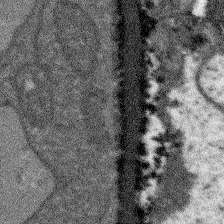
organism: Arabidopsis thaliana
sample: Root tip